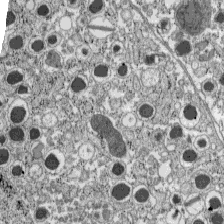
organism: C57BL Mouse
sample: Pancreatic islet